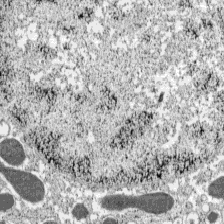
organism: C57BL Mouse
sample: Pancreatic islet